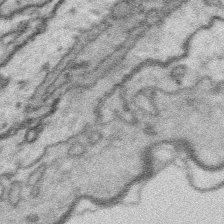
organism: Platynereis dumerilii